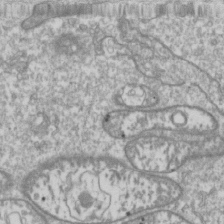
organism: Drosophila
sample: Cell division; meiosis; drosophila spermatocytes